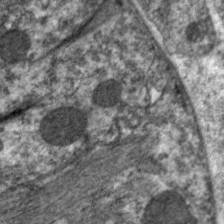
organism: C. elegans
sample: Pharynx